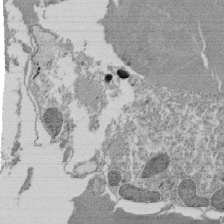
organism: Tetrahymena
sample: Cilia in tetrahymena